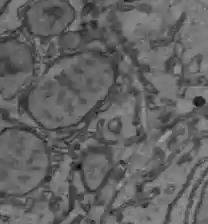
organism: C57BL Mouse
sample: Liver